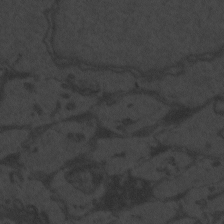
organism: Zebrafish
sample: Macrophage infected with Toxoplasma gondii